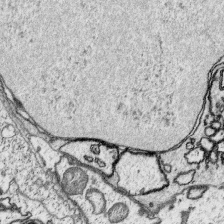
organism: Platynereis dumerilii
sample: Parapodia